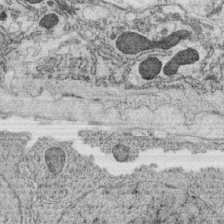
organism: C. elegans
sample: C. elegans oocyte; sperm cells